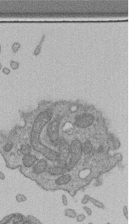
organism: Human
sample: Retinal organoid Rod and Cone cells